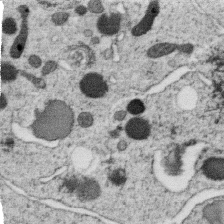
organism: C. elegans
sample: C. elegans oocyte; sperm cells